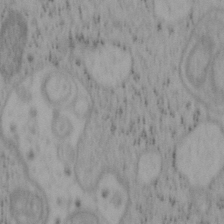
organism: Mouse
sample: OT-I killer T cells with ID8 ovarian cancer cells